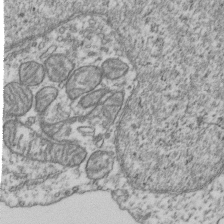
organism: Human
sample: Activated Jurkat CD4+ T cells